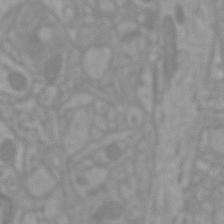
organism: Mouse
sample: Cortical neurons